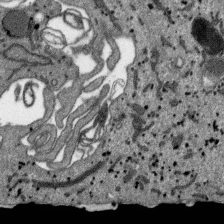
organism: Human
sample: Lung epithelial cells, uninfected (mock) control